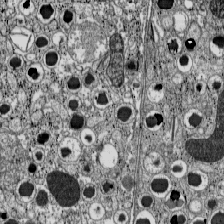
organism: C57BL Mouse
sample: Pancreatic islet